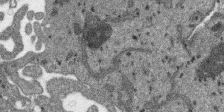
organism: Human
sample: Lung epithelial cells infected with SARS-CoV-2